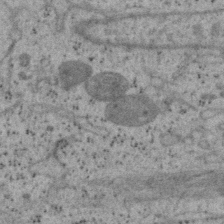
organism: Human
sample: HeLa cells